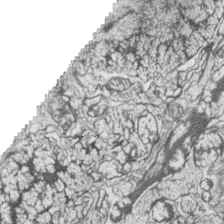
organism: Zebrafish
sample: synaptic ribbons in rod cells and cone cells